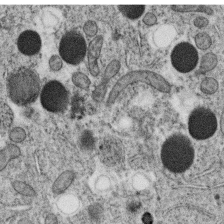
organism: C. elegans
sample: C. elegans oocyte; sperm cells